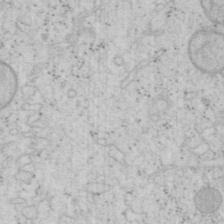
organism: Human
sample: HeLa cells